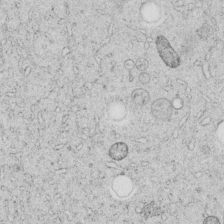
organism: C. elegans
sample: C. elegans embryo early stage